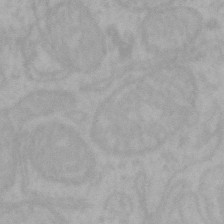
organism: Mouse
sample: Choroid plexus